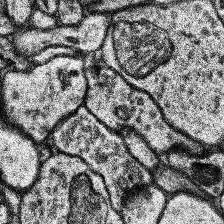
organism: Human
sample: Temporal Lobe